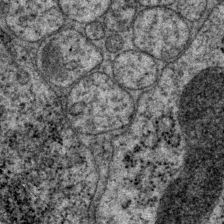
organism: P. pacificus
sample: Pharynx